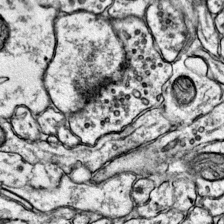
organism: Mouse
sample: Primary visual cortex